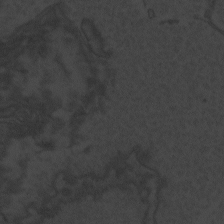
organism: Zebrafish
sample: Macrophage infected with Toxoplasma gondii